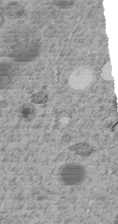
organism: C. elegans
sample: C. elegans embryo early stage